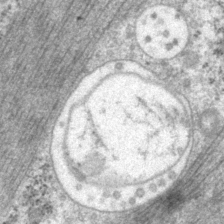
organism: P. pacificus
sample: Pharynx